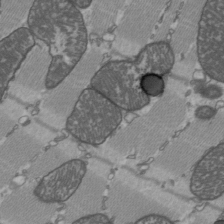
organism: C57BL Mouse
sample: Heart